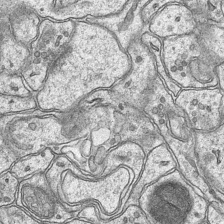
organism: Mouse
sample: CA1 Hippocampus